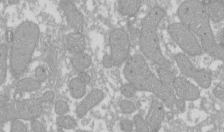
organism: Xenopus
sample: Cilia; centrioles in frog embryo cells